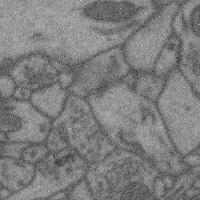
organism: Mouse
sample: Cerebral cortex